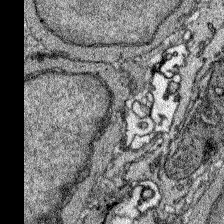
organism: Zebrafish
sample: Larval olfactory bulb